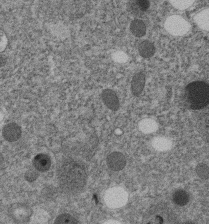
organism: C. elegans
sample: C. elegans embryo early stage